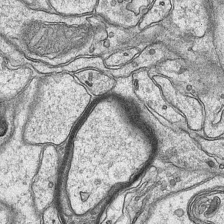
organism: Mouse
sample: CA1 Hippocampus